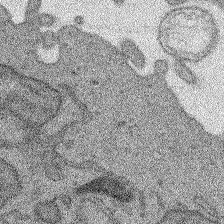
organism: Human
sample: HeLa cells